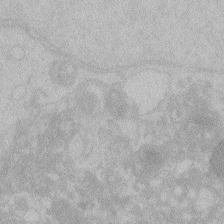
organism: Zebrafish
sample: Macrophage infected with Toxoplasma gondii